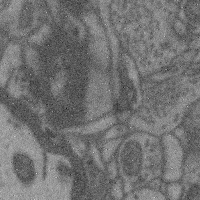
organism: Mouse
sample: Cerebral cortex